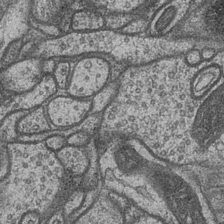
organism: Drosophila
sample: Optic medulla